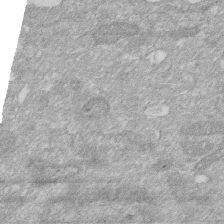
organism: Human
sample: HIV infected U937 cells